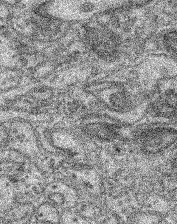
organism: Mouse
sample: Retina